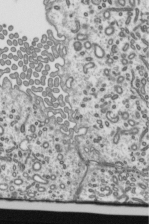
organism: Mouse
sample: Mouse epididymis efferent ductule cilia